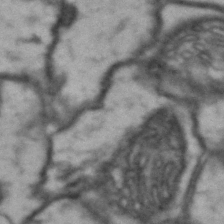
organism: Drosophila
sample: Brain